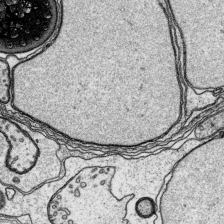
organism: Platynereis dumerilii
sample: Parapodia